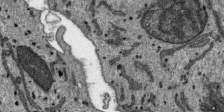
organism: Human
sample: Lung epithelial cells, uninfected (mock) control